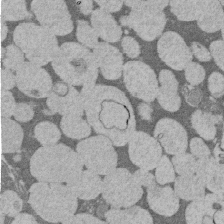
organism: Rat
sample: Salivary granule